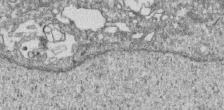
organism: Human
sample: HeLa cell HIV synapse